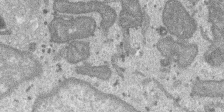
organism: Human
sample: Lung epithelial cells infected with SARS-CoV-2